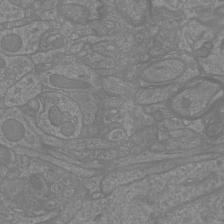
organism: Mouse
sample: Cortical neurons